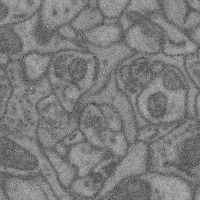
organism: Mouse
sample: Cerebral cortex